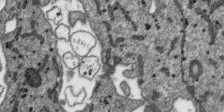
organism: Human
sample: Lung epithelial cells infected with SARS-CoV-2